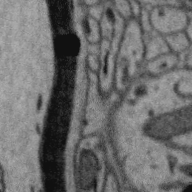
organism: Zebra finch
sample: Brain